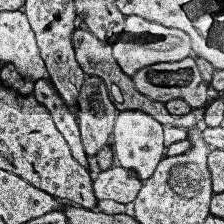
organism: Human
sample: Temporal Lobe